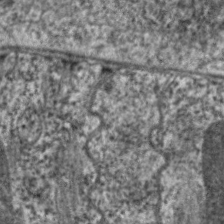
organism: C. elegans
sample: Pharynx